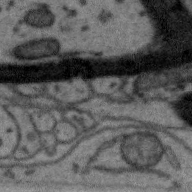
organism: Zebra finch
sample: Brain